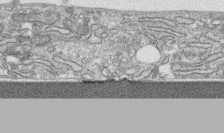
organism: Human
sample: CRL-1474